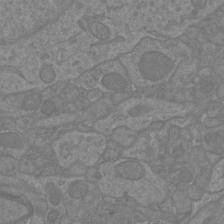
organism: Mouse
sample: Cortical neurons